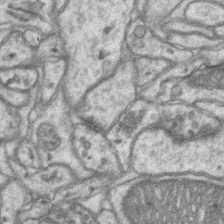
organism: Mouse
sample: CA1 Hippocampus